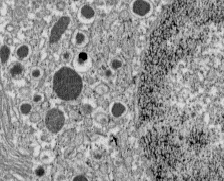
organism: C57BL Mouse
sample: Pancreatic islet